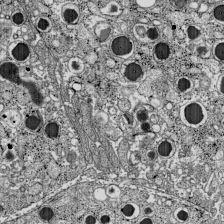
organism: C57BL Mouse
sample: Pancreatic islet